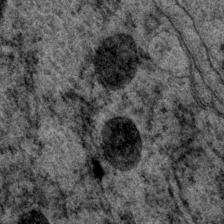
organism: P. pacificus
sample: Pharynx